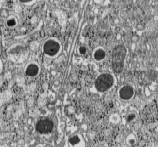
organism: C57BL Mouse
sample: Pancreatic islet